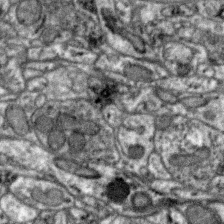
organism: Zebra finch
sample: Brain